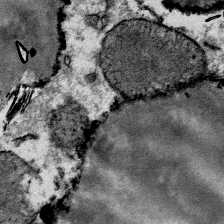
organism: Mouse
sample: Mouse Salivary gland